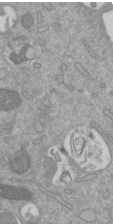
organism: Mouse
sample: ED-1 cell nuclei; centrioles